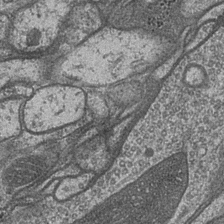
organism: Drosophila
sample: Optic medulla